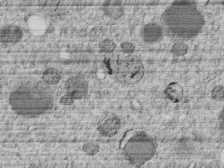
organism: C. elegans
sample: C. elegans embryo early stage